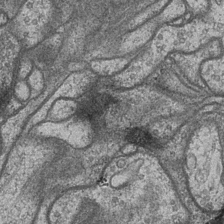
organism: Drosophila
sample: Optic medulla